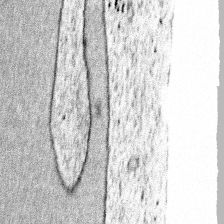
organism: Human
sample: HeLa cells